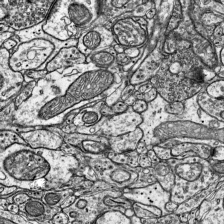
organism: Mouse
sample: Visual Cortex